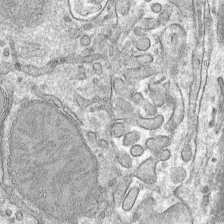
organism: Mouse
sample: Mouse hepatocytes